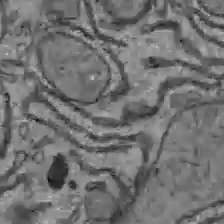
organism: C57BL Mouse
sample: Liver